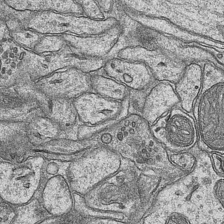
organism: Mouse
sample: CA1 Hippocampus